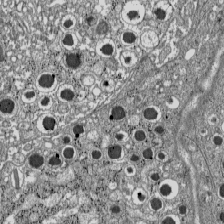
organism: C57BL Mouse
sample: Pancreatic islet